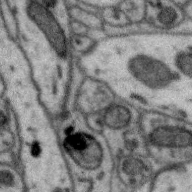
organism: Zebra finch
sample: Brain